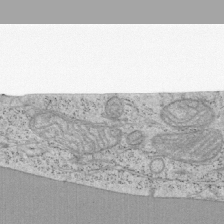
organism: Human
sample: HeLa cells